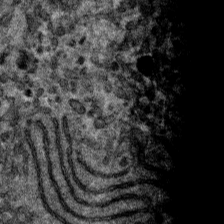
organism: Mouse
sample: Mouse hepatocytes